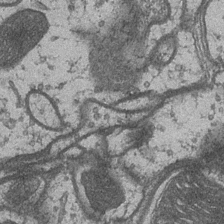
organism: Drosophila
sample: Optic medulla